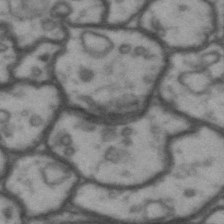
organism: Drosophila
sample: Brain